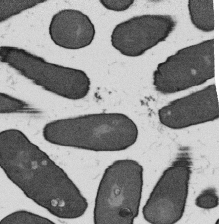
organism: B. subtilis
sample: Bacterial spore